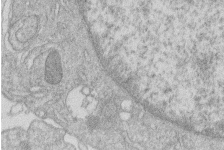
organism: Human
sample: Macrophage cells